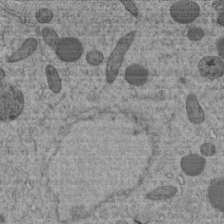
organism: C. elegans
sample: C. elegans embryo early stage